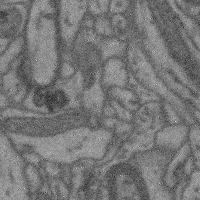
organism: Mouse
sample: Cerebral cortex